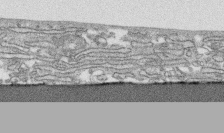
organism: Human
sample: CRL-1474